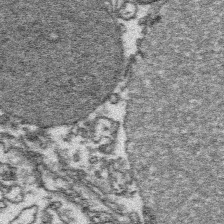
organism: Platynereis dumerilii